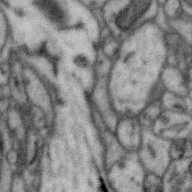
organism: Zebra finch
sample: Brain